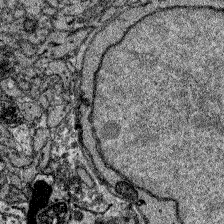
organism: Zebrafish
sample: Larval olfactory bulb